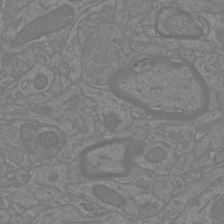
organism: Mouse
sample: Cortical neurons